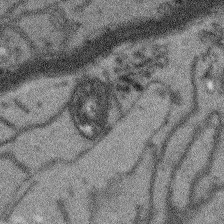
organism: Arabidopsis thaliana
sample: Root tip